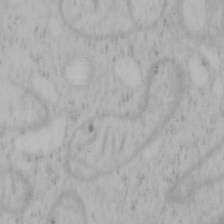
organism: Mouse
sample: OT-I killer T cells with ID8 ovarian cancer cells